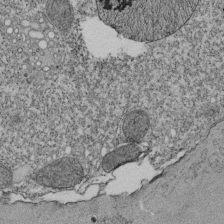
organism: Tetrahymena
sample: Cilia in tetrahymena